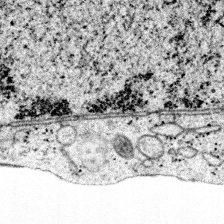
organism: Human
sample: HeLa cells